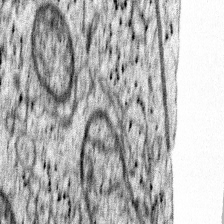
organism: Human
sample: HeLa cells